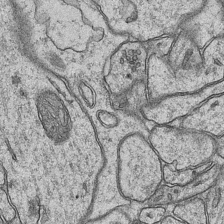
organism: Mouse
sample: CA1 Hippocampus